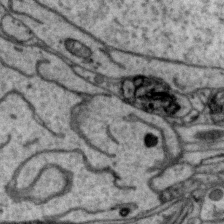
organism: Zebra finch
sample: Brain